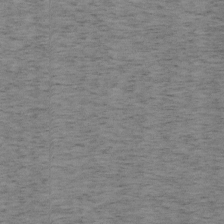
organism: Mouse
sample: OT-I killer T cells with ID8 ovarian cancer cells